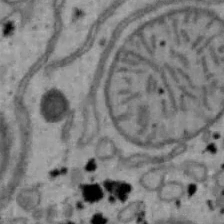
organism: Mouse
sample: Liver